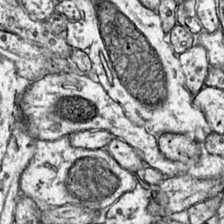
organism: Mouse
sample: Primary visual cortex